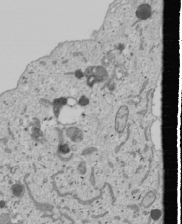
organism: Human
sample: Mitochondria in U2OS cells